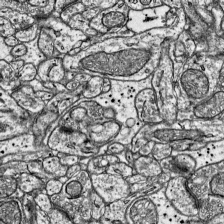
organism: Mouse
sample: Visual Cortex